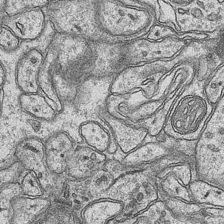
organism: Mouse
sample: CA1 Hippocampus